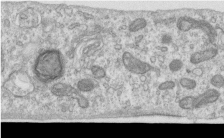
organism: Human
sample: Centriole in RPE cells